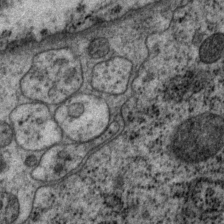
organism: P. pacificus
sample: Pharynx